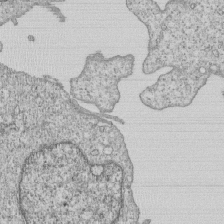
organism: Human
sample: MDA-MB-231 cells